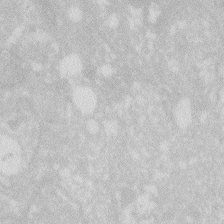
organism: Zebrafish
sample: Macrophage